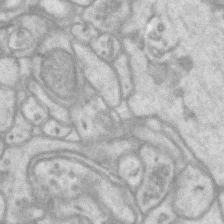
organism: Mouse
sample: CA1 Hippocampus